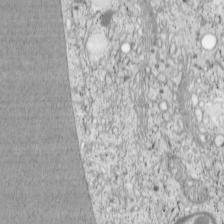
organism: African green monkey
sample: COS-7 cells